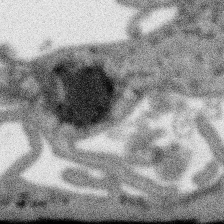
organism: Human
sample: Lung epithelial cells infected with SARS-CoV-2